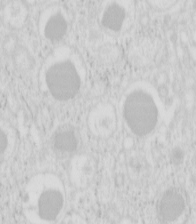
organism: Mouse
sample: Pancreas